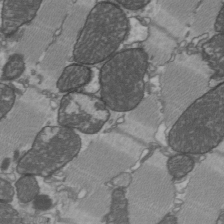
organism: C57BL Mouse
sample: Heart